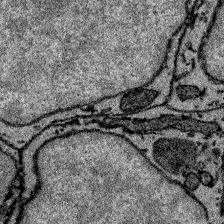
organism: Zebrafish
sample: Larval olfactory bulb